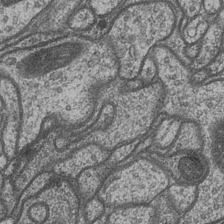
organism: Drosophila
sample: Optic medulla